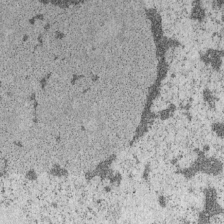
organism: Mouse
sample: OT-I killer T cells with ID8 ovarian cancer cells